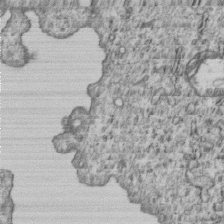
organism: Human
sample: MDA-MB-231 cells